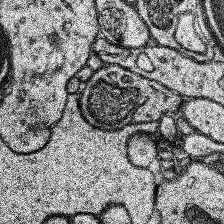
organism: Human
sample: Temporal Lobe